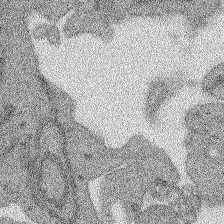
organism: Human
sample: HeLa cells